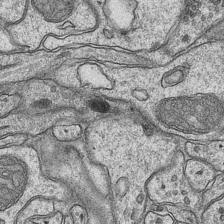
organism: Mouse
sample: CA1 Hippocampus